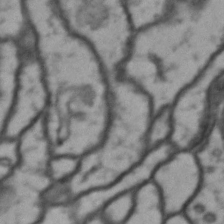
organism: Drosophila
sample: Brain